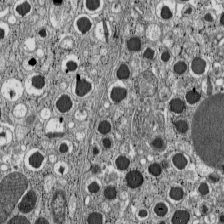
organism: C57BL Mouse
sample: Pancreatic islet